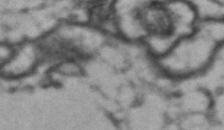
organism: Drosophila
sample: Brain